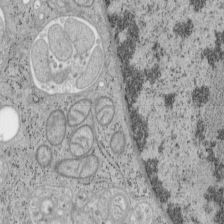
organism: Mouse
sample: OT-I killer T cells with ID8 ovarian cancer cells